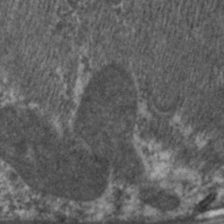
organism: C. elegans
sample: Pharynx